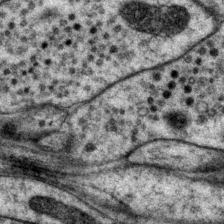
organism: P. pacificus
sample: Pharynx